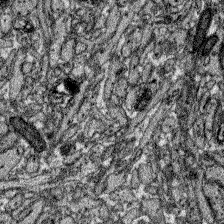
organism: Zebrafish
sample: Larval olfactory bulb